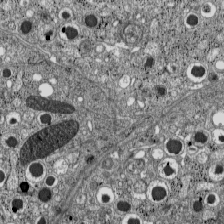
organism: C57BL Mouse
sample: Pancreatic islet